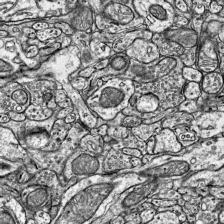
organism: Mouse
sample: Visual Cortex